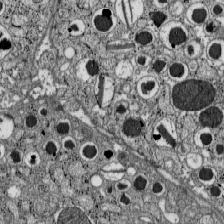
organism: C57BL Mouse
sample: Pancreatic islet